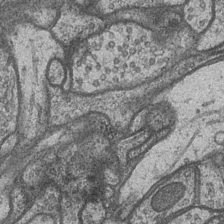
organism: Drosophila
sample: Optic medulla